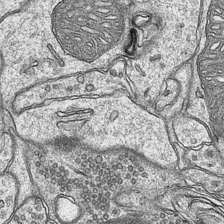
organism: Mouse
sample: CA1 Hippocampus